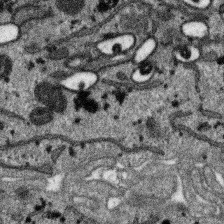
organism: Human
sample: Lung epithelial cells infected with SARS-CoV-2